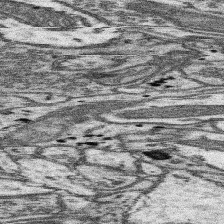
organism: Mouse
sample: Somatosensory cortex neuropil